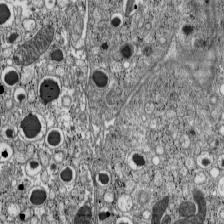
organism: C57BL Mouse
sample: Pancreatic islet